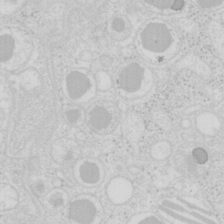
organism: Mouse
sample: Pancreas